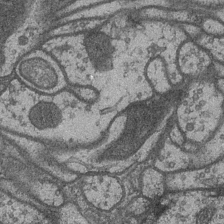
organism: Drosophila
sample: Optic medulla